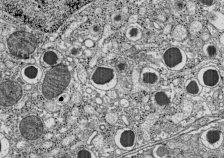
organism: C57BL Mouse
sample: Pancreatic islet